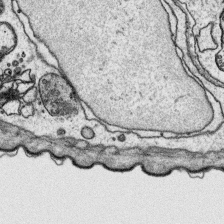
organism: Platynereis dumerilii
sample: Parapodia